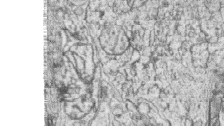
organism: Zebrafish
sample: synaptic ribbons in rod cells and cone cells